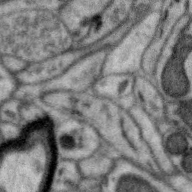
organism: Zebra finch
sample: Brain